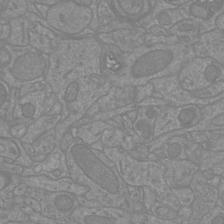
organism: Mouse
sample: Cortical neurons